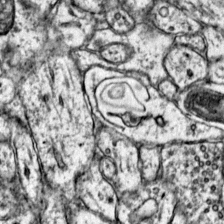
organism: Mouse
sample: Primary visual cortex